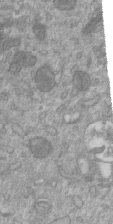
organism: Mouse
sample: ED-1 cell nuclei; centrioles